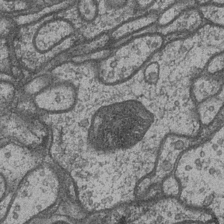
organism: Drosophila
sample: Optic medulla